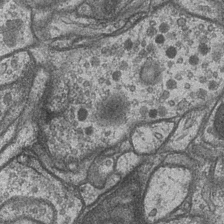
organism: Drosophila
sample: Optic medulla